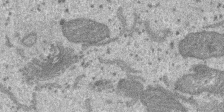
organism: Human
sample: Lung epithelial cells infected with SARS-CoV-2